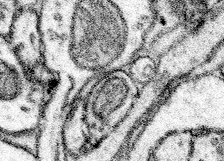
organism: Mouse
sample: Somatosensory cortex neuropil